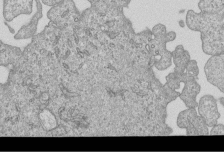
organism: Human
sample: MDA-MB-231 cells